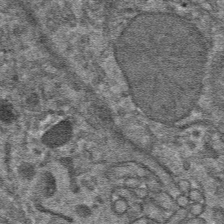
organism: Mouse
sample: Mouse hepatocytes